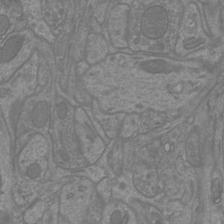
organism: Mouse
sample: Cortical neurons